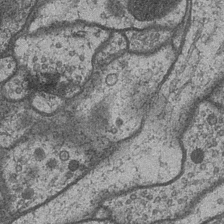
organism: Drosophila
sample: Optic medulla